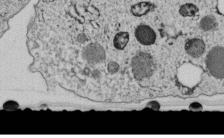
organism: C. elegans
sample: C. elegans embryo early stage